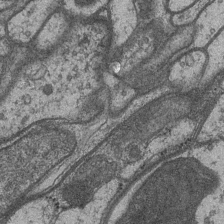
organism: Drosophila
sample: Optic medulla